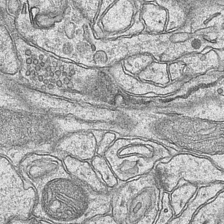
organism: Mouse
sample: CA1 Hippocampus